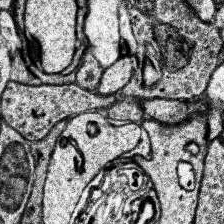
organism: Human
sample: Temporal Lobe